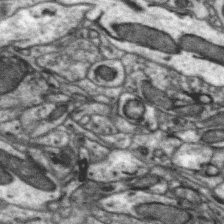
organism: Zebra finch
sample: Brain